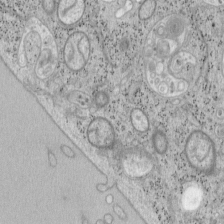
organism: Mouse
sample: OT-I killer T cells with ID8 ovarian cancer cells